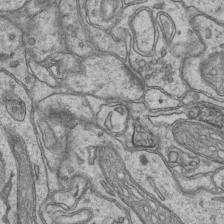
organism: Mouse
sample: CA1 Hippocampus